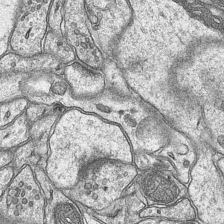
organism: Mouse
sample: CA1 Hippocampus